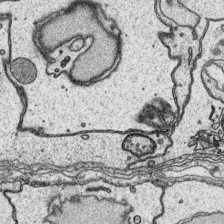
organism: Platynereis dumerilii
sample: Parapodia